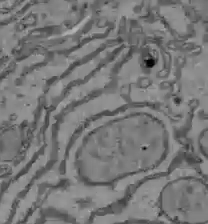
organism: C57BL Mouse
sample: Liver